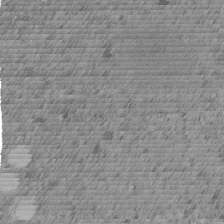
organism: C. elegans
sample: C. elegans embryo early stage